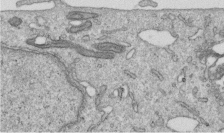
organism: Human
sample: Centriole in RPE cells